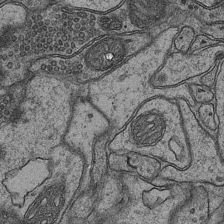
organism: Mouse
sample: CA1 Hippocampus